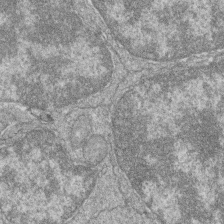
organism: Zebrafish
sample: Cilia; retinal pigment epithelium